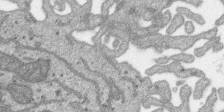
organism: Human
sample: Lung epithelial cells infected with SARS-CoV-2